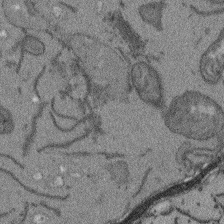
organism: Arabidopsis thaliana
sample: Root tip